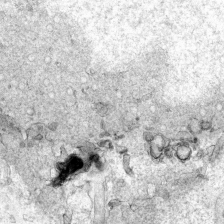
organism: Human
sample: Mitochondria in HCT116 cells